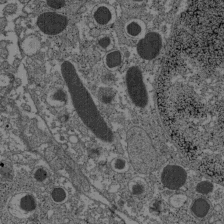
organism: C57BL Mouse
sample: Pancreatic islet